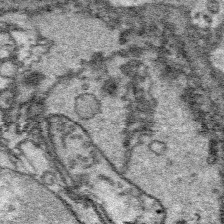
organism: Platynereis dumerilii